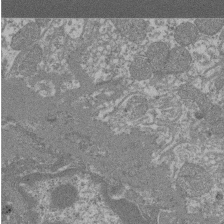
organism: Mouse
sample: Glomerulus